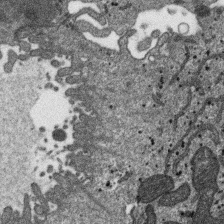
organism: Human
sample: Lung epithelial cells infected with SARS-CoV-2